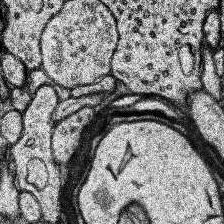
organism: Human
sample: Temporal Lobe